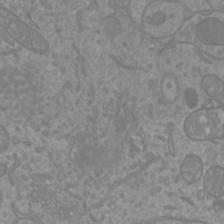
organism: Mouse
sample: Cortical neurons